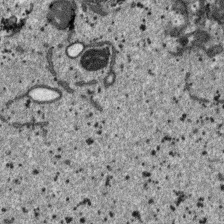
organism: Human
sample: Lung epithelial cells infected with SARS-CoV-2